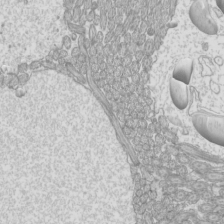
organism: Mouse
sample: Cilia; mouse epididymis